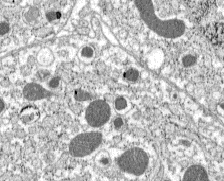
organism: C57BL Mouse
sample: Pancreatic islet